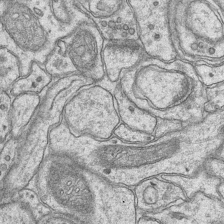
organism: Mouse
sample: CA1 Hippocampus